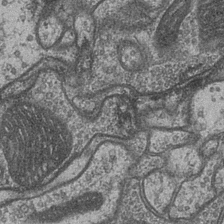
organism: Drosophila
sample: Optic medulla